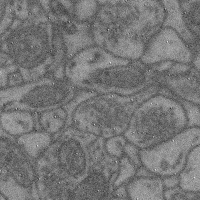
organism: Mouse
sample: Cerebral cortex